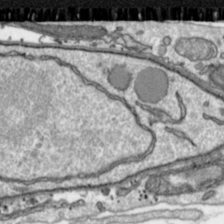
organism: Toxoplasma gondii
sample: Parasites in a vacuole inside a host cell